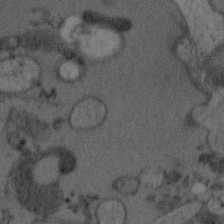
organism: Human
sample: HeLa cells